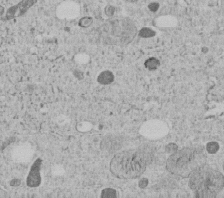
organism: C. elegans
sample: C. elegans embryo early stage